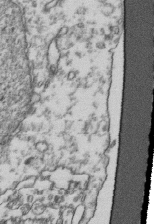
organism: Human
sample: Activated Jurkat CD4+ T cells